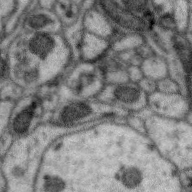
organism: Zebra finch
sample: Brain